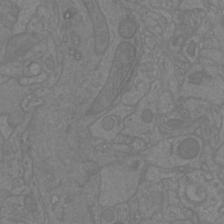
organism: Mouse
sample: Cortical neurons